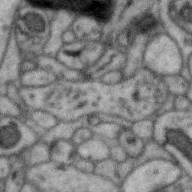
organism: Zebra finch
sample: Brain